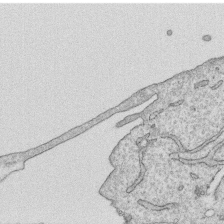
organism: Human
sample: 1205lu cells